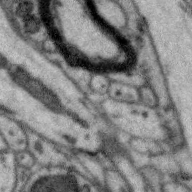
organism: Zebra finch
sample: Brain